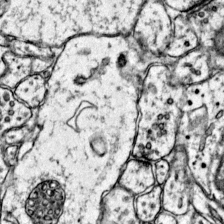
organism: Mouse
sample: Primary visual cortex